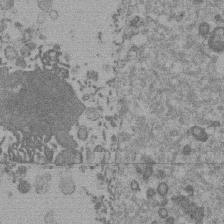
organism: Mouse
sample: Dividing mouse embryo 1 cell stage